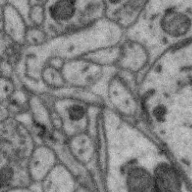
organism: Zebra finch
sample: Brain